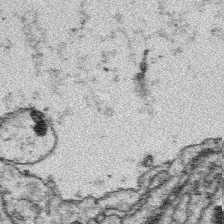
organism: Platynereis dumerilii